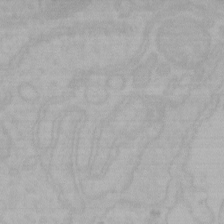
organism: Mouse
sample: Choroid plexus